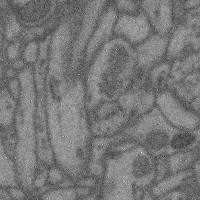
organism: Mouse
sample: Cerebral cortex